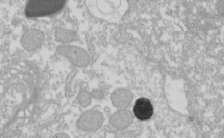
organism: Xenopus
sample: Cilia; centrioles in frog embryo cells